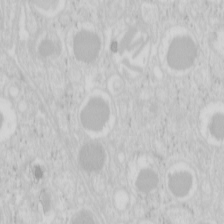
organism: Mouse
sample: Pancreas